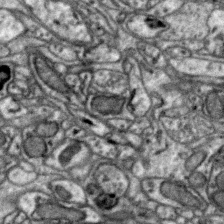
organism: Zebra finch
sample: Brain